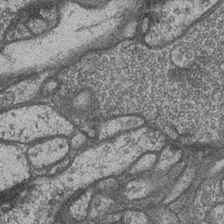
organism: Drosophila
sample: Optic medulla